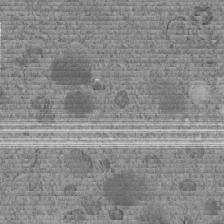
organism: C. elegans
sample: C. elegans embryo early stage